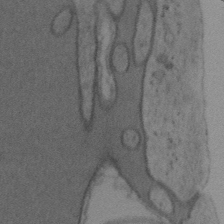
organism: Human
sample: HeLa cells